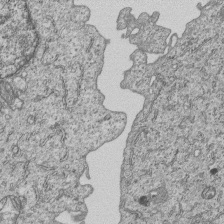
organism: Human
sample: MDA-MB-231 cells